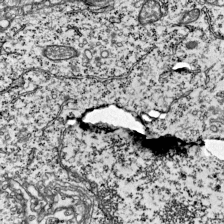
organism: Mouse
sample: Visual Cortex